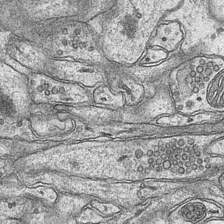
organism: Mouse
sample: CA1 Hippocampus